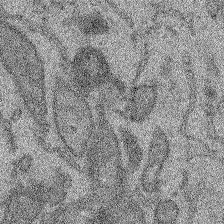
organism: Human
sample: HeLa cells